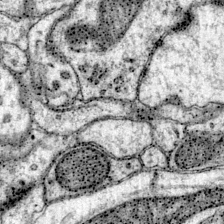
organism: Mouse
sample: Primary visual cortex